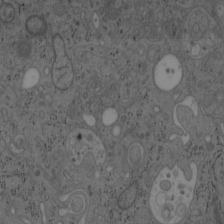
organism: Mouse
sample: OT-I killer T cells with ID8 ovarian cancer cells